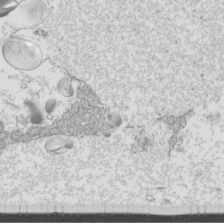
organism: Mouse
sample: Cilia; mouse epididymis